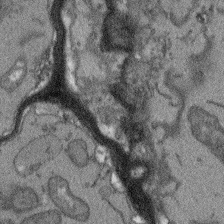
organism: Arabidopsis thaliana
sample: Root tip